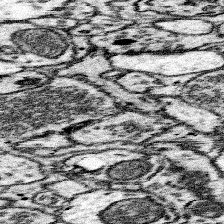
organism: Mouse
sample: Somatosensory cortex neuropil